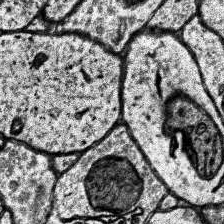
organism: Human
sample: Temporal Lobe